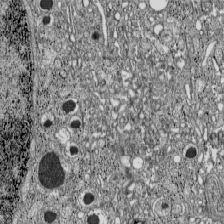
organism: C57BL Mouse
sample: Pancreatic islet